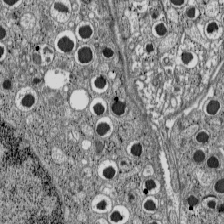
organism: C57BL Mouse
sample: Pancreatic islet